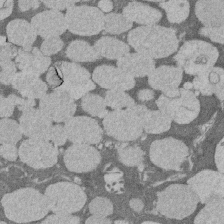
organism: Rat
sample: Salivary granule